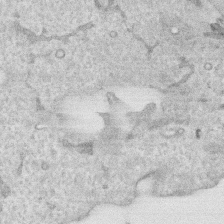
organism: Human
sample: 1205lu cells